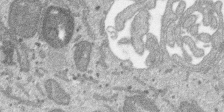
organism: Human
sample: Lung epithelial cells infected with SARS-CoV-2